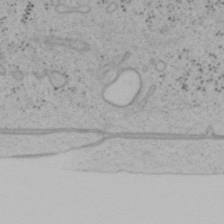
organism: Human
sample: HeLa cells